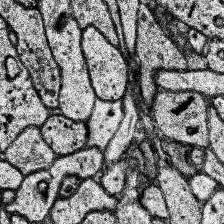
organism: Human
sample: Temporal Lobe